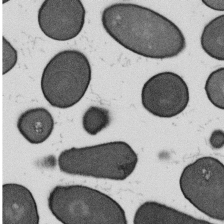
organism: B. subtilis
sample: Bacterial spore